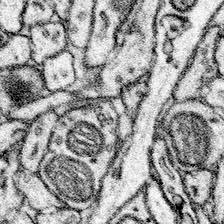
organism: Mouse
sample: Somatosensory cortex neuropil